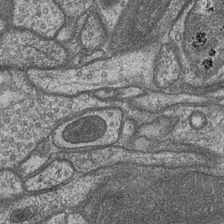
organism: Drosophila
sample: Optic medulla